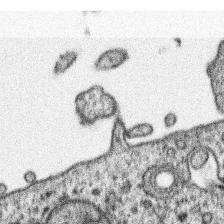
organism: Human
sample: HeLa cells